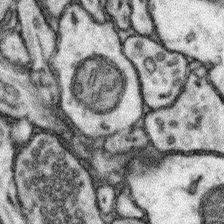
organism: Mouse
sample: Somatosensory cortex neuropil